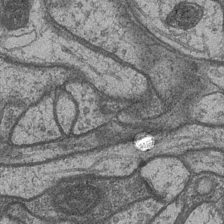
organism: Drosophila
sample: Optic medulla